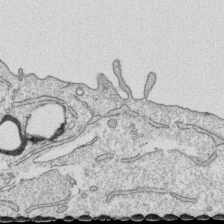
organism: Human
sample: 1205lu cells